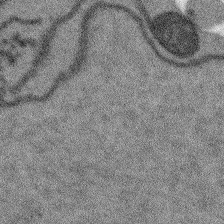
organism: Arabidopsis thaliana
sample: Root tip